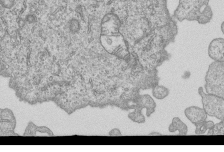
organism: Human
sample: MDA-MB-231 cells